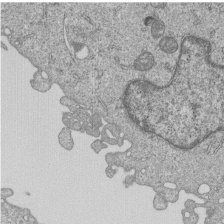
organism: Human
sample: MDA-MB-231 cells